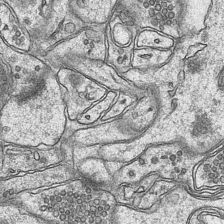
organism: Mouse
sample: CA1 Hippocampus